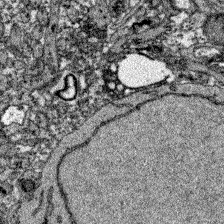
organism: Zebrafish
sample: Larval olfactory bulb